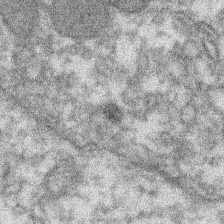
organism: Xenopus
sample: Cilia; centrioles in frog embryo cells